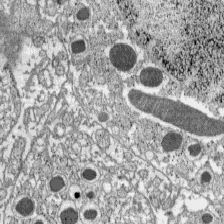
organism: C57BL Mouse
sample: Pancreatic islet